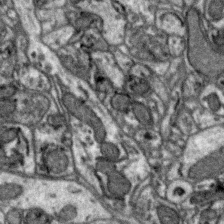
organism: Zebra finch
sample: Brain